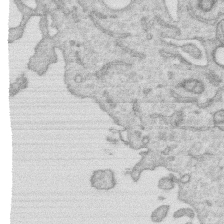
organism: Human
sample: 1205lu cells